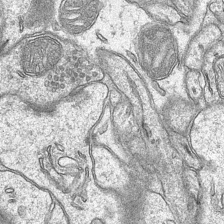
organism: Mouse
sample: CA1 Hippocampus